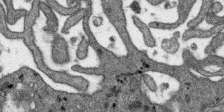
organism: Human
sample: Lung epithelial cells, uninfected (mock) control